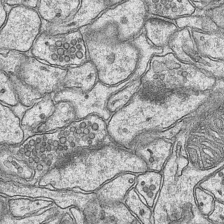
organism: Mouse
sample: CA1 Hippocampus